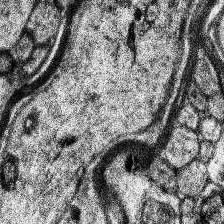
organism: Human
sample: Temporal Lobe